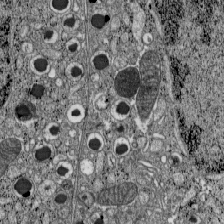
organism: C57BL Mouse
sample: Pancreatic islet